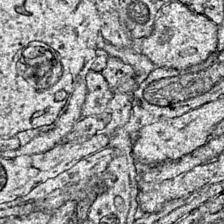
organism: Mouse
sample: Primary visual cortex